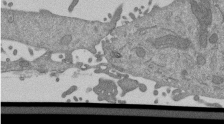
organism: Mouse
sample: ED-1 cell nuclei; centrioles